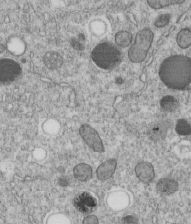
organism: C. elegans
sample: C. elegans embryo early stage